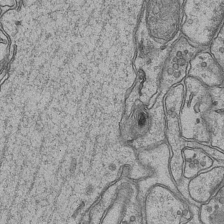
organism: Mouse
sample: CA1 Hippocampus